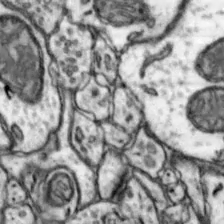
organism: Mouse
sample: Nucleus accumbens